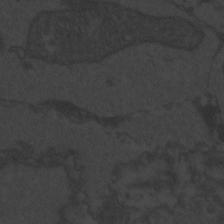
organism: Zebrafish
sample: Macrophage infected with Toxoplasma gondii